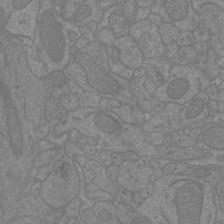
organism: Mouse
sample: Cortical neurons